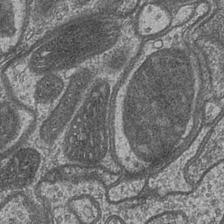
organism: Drosophila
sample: Optic medulla